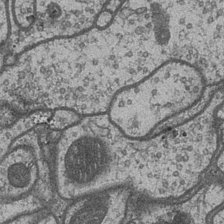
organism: Drosophila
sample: Optic medulla